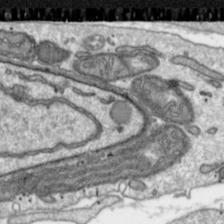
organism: Toxoplasma gondii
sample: Parasites in a vacuole inside a host cell